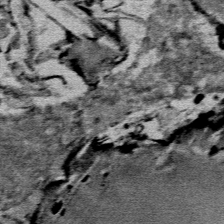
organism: Mouse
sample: Mouse Salivary gland